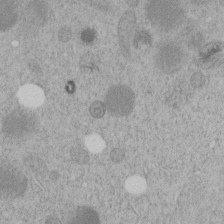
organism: C. elegans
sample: C. elegans embryo early stage